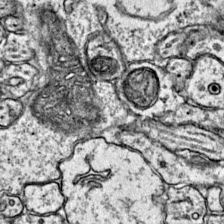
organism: Mouse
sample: Primary visual cortex